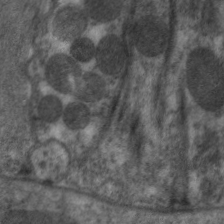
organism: C. elegans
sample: Pharynx